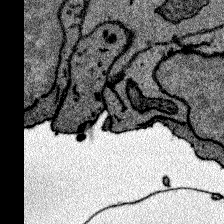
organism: Zebrafish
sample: Larval olfactory bulb